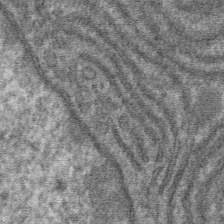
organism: Mouse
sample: Mouse hepatocytes